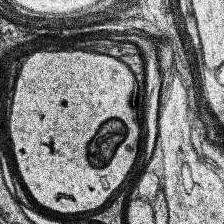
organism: Human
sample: Temporal Lobe